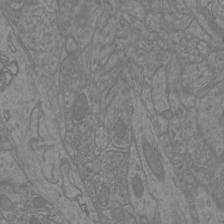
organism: Mouse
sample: Cortical neurons